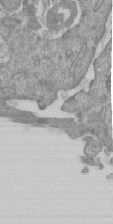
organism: Mouse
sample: ED-1 cell nuclei; centrioles